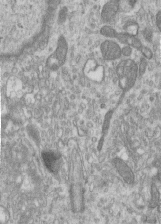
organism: Human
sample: Centriole in RPE cells